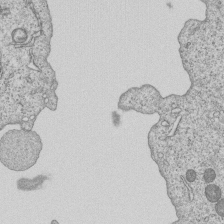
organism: Human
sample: MDA-MB-231 cells